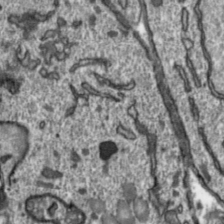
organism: Toxoplasma gondii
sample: Parasites in a vacuole inside a host cell